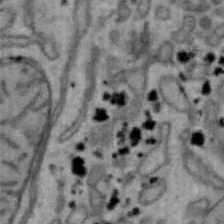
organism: Mouse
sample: Liver